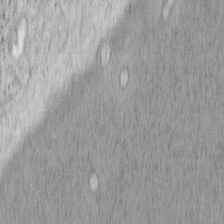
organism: Human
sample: HeLa cells